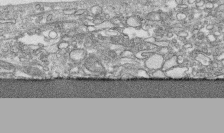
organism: Human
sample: CRL-1474